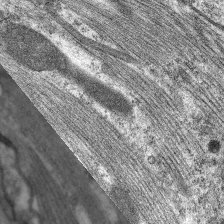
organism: C. elegans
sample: Pharynx